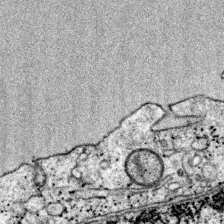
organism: Human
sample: HeLa cells